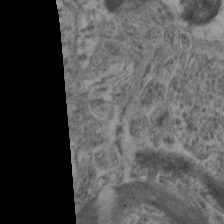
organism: Mouse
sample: Neocortex